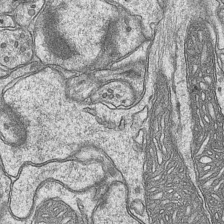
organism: Mouse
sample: CA1 Hippocampus